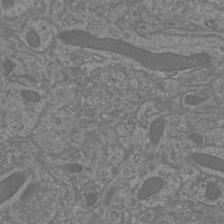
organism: Mouse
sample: Cortical neurons